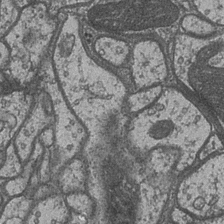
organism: Drosophila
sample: Optic medulla